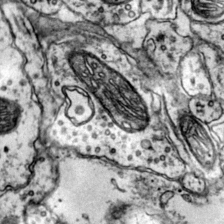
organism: Mouse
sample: Primary visual cortex